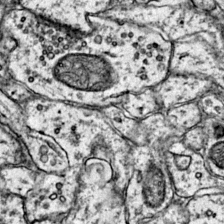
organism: Mouse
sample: Primary visual cortex